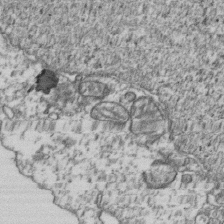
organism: Human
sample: Activated Jurkat CD4+ T cells